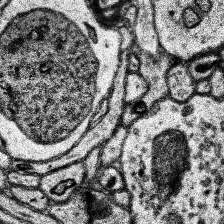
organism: Human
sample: Temporal Lobe